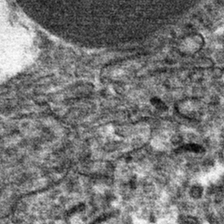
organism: Mouse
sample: Mouse hepatocytes